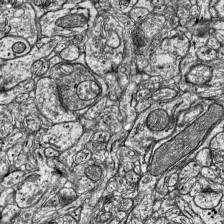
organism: Mouse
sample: Visual Cortex